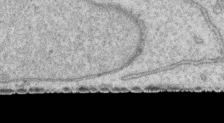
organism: Human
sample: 1205lu cells